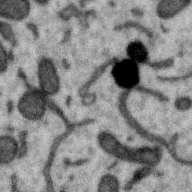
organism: Zebra finch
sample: Brain